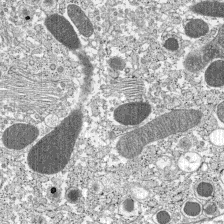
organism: C57BL Mouse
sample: Pancreatic islet